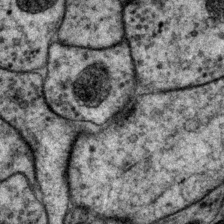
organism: P. pacificus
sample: Pharynx